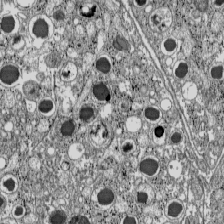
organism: C57BL Mouse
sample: Pancreatic islet